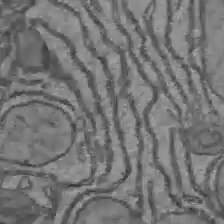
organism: C57BL Mouse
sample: Liver